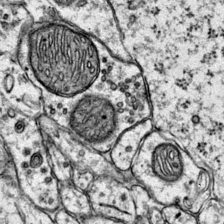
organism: Mouse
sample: Primary visual cortex